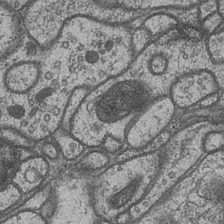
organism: Drosophila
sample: Optic medulla